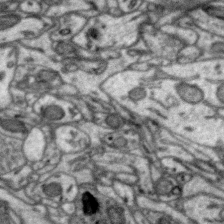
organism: Zebra finch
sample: Brain